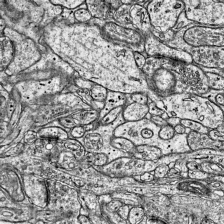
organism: Mouse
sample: Visual Cortex